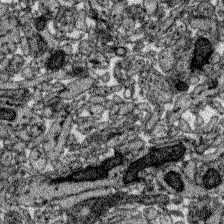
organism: Zebrafish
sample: Larval olfactory bulb